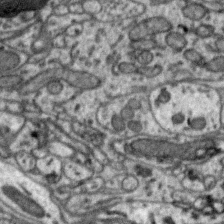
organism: Zebra finch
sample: Brain